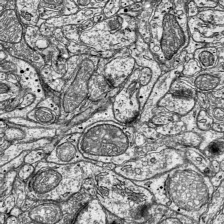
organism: Mouse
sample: Visual Cortex